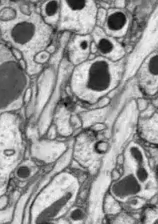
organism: Drosophila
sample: Optic lobe